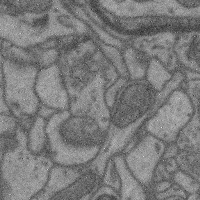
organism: Mouse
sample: Cerebral cortex